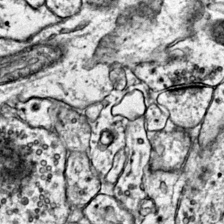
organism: Mouse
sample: Primary visual cortex